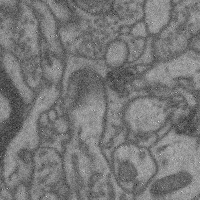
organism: Mouse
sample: Cerebral cortex